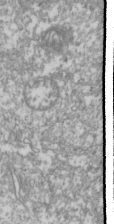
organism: Drosophila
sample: Cell division; meiosis; drosophila spermatocytes